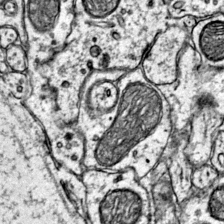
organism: Mouse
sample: Primary visual cortex